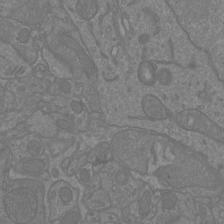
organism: Mouse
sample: Cortical neurons